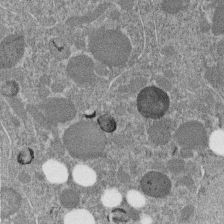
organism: C. elegans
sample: C. elegans embryo early stage